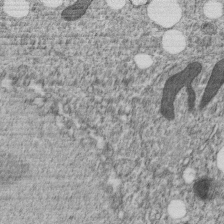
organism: C. elegans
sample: C. elegans embryo early stage